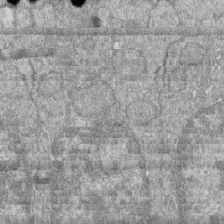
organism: Zebrafish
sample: Cilia; retinal pigment epithelium